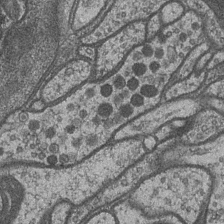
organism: Drosophila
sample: Optic medulla